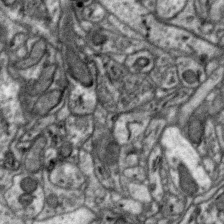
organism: Zebra finch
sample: Brain